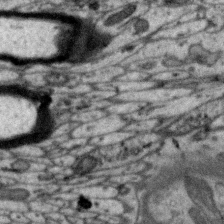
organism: Zebra finch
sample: Brain